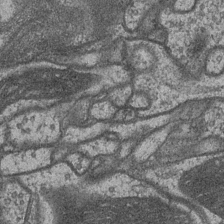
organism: Drosophila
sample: Optic medulla